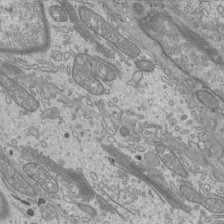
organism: Mouse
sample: Cilia; mouse epididymis